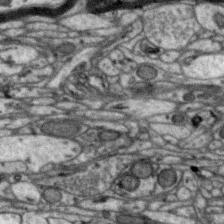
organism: Zebra finch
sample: Brain